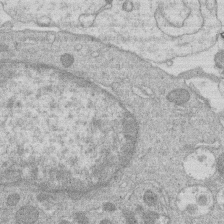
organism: Human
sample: Macrophage cells